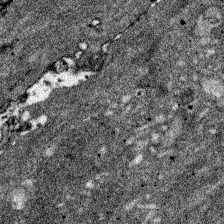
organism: Zebrafish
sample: Larval olfactory bulb